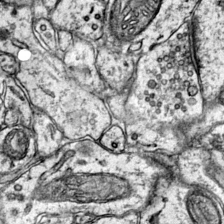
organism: Mouse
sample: Primary visual cortex